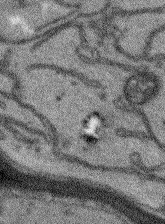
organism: Arabidopsis thaliana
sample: Root tip